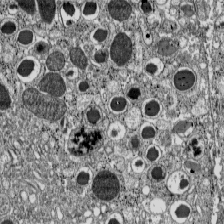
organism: C57BL Mouse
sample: Pancreatic islet